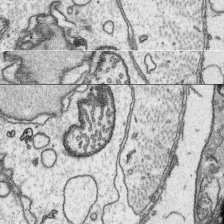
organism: Platynereis dumerilii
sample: Parapodia